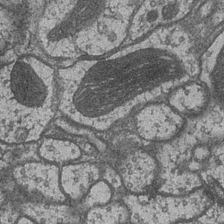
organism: Drosophila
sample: Optic medulla